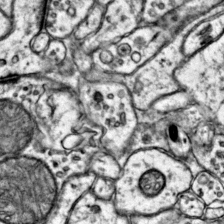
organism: Mouse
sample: Primary visual cortex